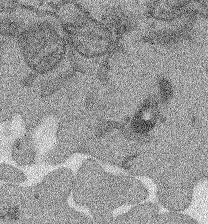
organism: Human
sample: HeLa cells